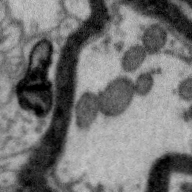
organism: Zebra finch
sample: Brain